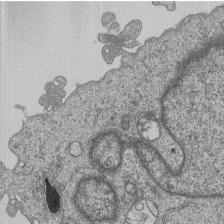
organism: Human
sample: MDA-MB-231 cells